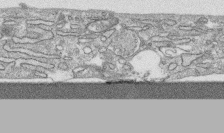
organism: Human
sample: CRL-1474